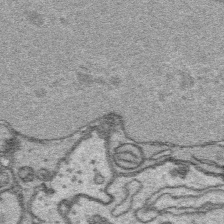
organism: Platynereis dumerilii